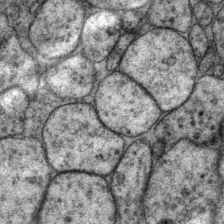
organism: P. pacificus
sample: Pharynx